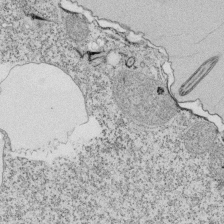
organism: Tetrahymena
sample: Cilia in tetrahymena